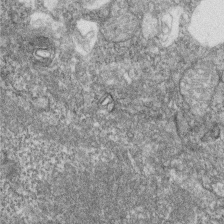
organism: Zebrafish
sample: Cilia; retinal pigment epithelium